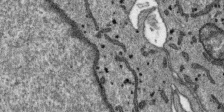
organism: Human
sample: Lung epithelial cells, uninfected (mock) control